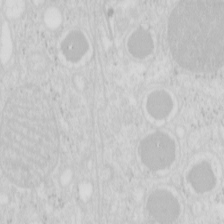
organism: Mouse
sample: Pancreas